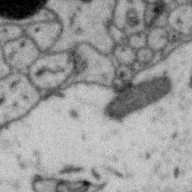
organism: Zebra finch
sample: Brain